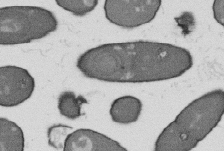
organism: B. subtilis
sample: Bacterial spore